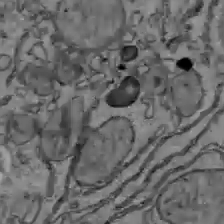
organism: C57BL Mouse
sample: Liver